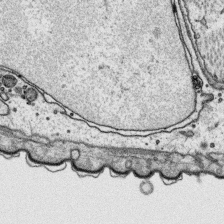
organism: Platynereis dumerilii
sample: Parapodia